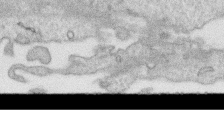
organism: Human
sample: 1205lu cells